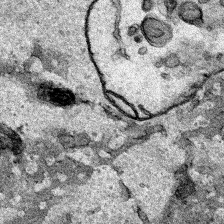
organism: Human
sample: Mitochondria in HCT116 cells